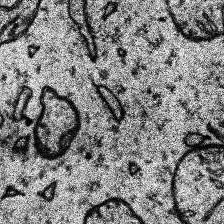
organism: Human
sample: Temporal Lobe